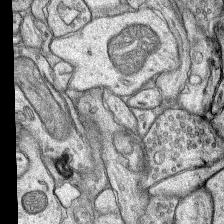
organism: Rat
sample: Hippocampus